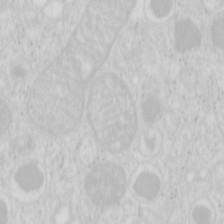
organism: Mouse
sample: Pancreas